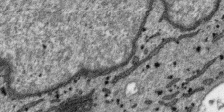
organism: Human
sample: Lung epithelial cells, uninfected (mock) control